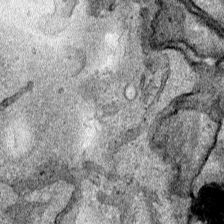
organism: Human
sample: Mitochondria in HCT116 cells